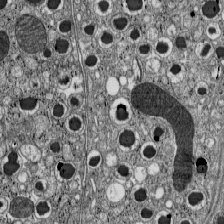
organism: C57BL Mouse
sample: Pancreatic islet